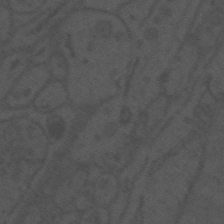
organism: Mouse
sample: Suprachiasmatic nucleus